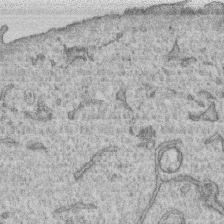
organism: Human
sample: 1205lu cells